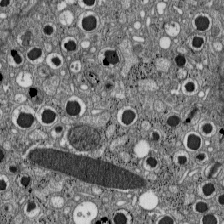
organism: C57BL Mouse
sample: Pancreatic islet